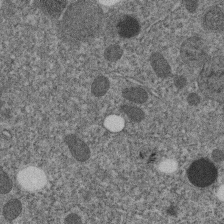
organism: C. elegans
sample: C. elegans embryo early stage